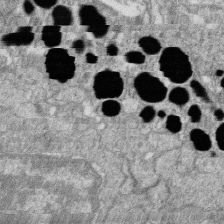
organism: Zebrafish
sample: Cilia; retinal pigment epithelium